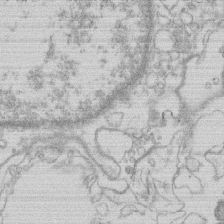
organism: Human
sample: Macrophage cells